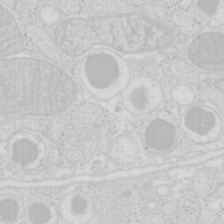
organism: Mouse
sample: Pancreas